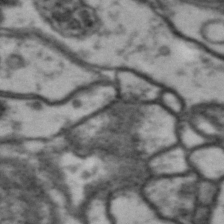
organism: Drosophila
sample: Brain